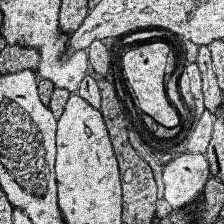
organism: Human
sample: Temporal Lobe